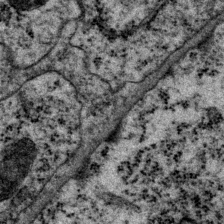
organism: P. pacificus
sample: Pharynx